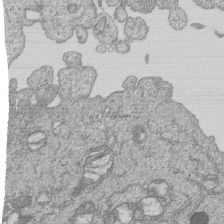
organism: Human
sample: MDA-MB-231 cells